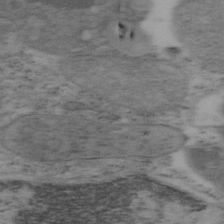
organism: Mouse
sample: OT-I killer T cells with ID8 ovarian cancer cells